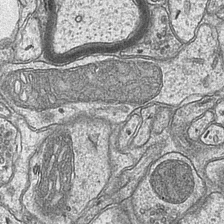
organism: Mouse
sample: CA1 Hippocampus